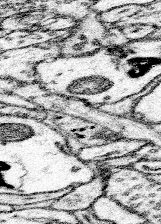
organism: Mouse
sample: Somatosensory cortex neuropil